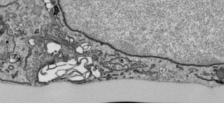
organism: Human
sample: Mitochondria in HCT116 cells